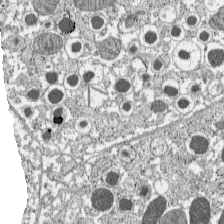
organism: C57BL Mouse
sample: Pancreatic islet